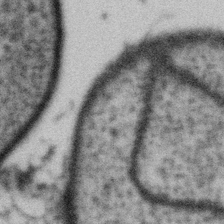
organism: Gemmata obscuriglobus